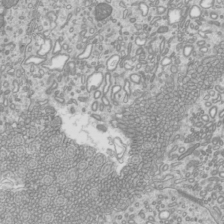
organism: Mouse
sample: Cilia; mouse epididymis